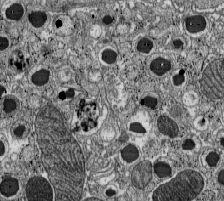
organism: C57BL Mouse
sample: Pancreatic islet